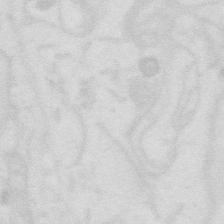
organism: Human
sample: HeLa cells